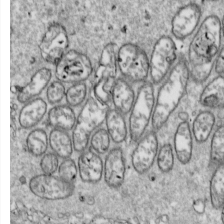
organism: Drosophila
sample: Cell division; meiosis; drosophila spermatocytes